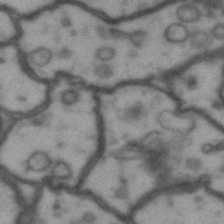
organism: Drosophila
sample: Brain